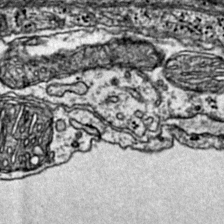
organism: Mouse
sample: Primary visual cortex